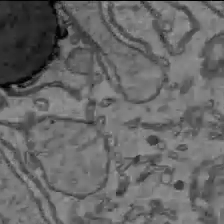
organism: C57BL Mouse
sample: Liver